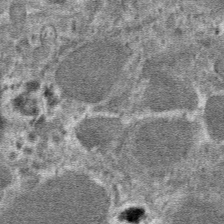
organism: Mouse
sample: Mouse hepatocytes